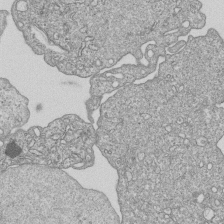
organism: Human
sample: MDA-MB-231 cells